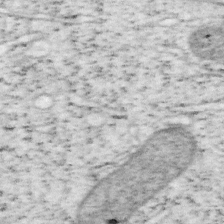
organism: Mouse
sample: OT-I killer T cells with ID8 ovarian cancer cells